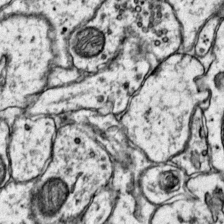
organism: Mouse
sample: Primary visual cortex